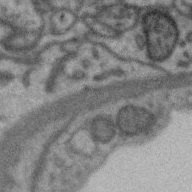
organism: Zebra finch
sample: Brain